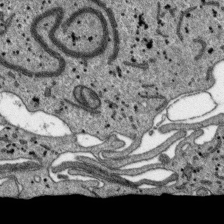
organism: Human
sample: Lung epithelial cells, uninfected (mock) control